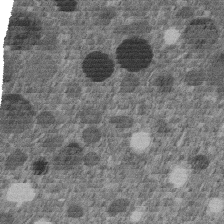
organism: C. elegans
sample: C. elegans embryo early stage